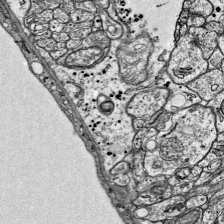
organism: Mouse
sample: Visual Cortex